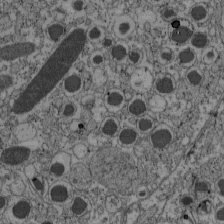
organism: C57BL Mouse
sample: Pancreatic islet